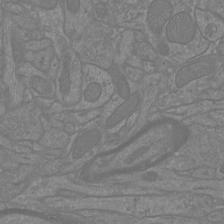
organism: Mouse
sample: Cortical neurons